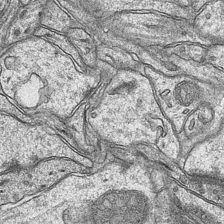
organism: Mouse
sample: CA1 Hippocampus